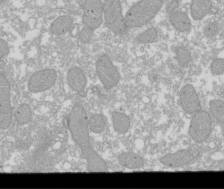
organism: Xenopus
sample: Cilia; centrioles in frog embryo cells